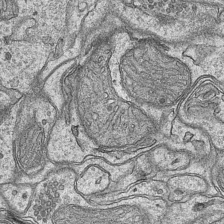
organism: Mouse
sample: CA1 Hippocampus